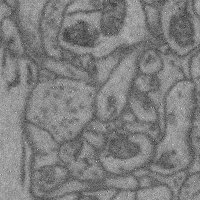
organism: Mouse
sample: Cerebral cortex